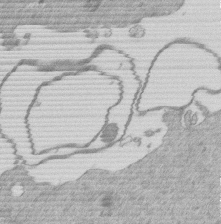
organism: Mouse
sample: Dividing mouse embryo 1 cell stage